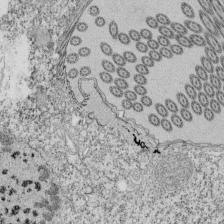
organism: Tetrahymena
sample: Cilia in tetrahymena